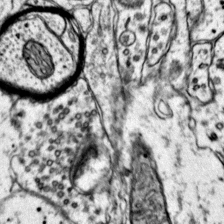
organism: Mouse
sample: Primary visual cortex